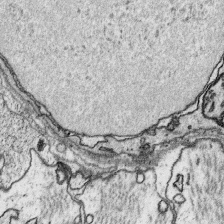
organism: Platynereis dumerilii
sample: Parapodia